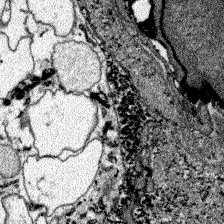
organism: Zebrafish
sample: Larval olfactory bulb